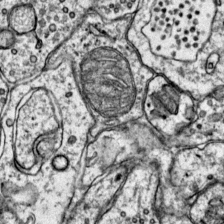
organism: Mouse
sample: Primary visual cortex